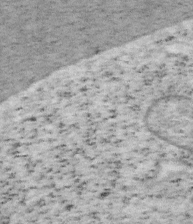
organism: Mouse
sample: OT-I killer T cells with ID8 ovarian cancer cells